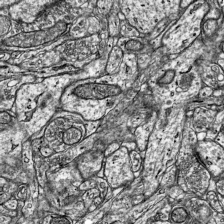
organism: Mouse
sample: Visual Cortex